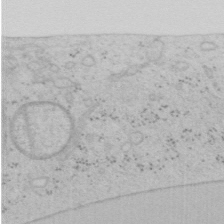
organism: Human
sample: HeLa cells